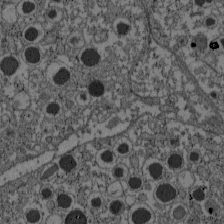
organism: C57BL Mouse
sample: Pancreatic islet